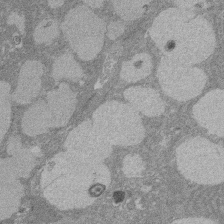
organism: Rat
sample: Salivary granule